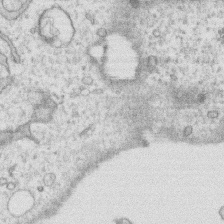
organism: Human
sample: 1205lu cells